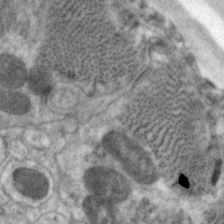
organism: C. elegans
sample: Pharynx